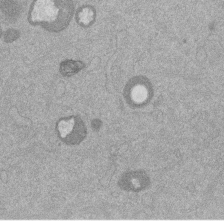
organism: Mouse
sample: Dividing mouse embryo 1 cell stage